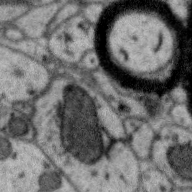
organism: Zebra finch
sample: Brain